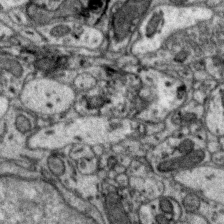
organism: Zebra finch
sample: Brain